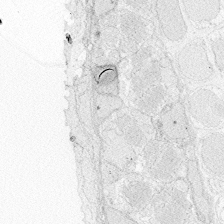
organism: Zebrafish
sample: Whole-Brain